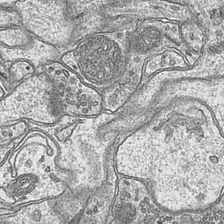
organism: Mouse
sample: CA1 Hippocampus